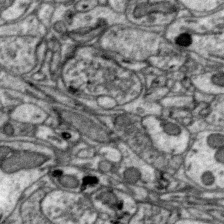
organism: Zebra finch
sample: Brain